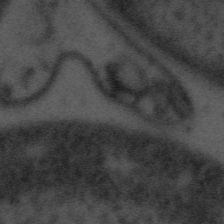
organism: Tuwongella immobilis